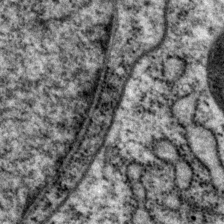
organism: P. pacificus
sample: Pharynx